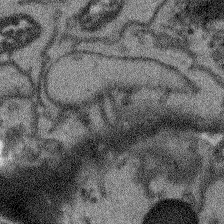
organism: Arabidopsis thaliana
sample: Root tip